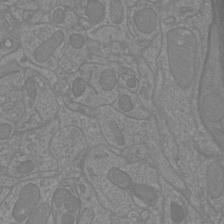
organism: Mouse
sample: Cortical neurons